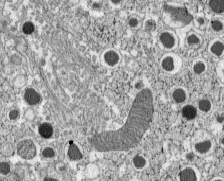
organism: C57BL Mouse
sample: Pancreatic islet